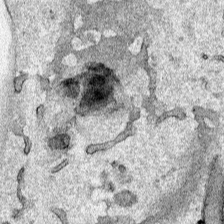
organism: Human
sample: Mitochondria in HCT116 cells